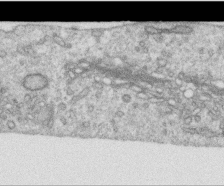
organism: Human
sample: Centriole in RPE cells